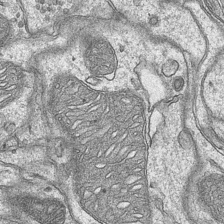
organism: Mouse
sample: CA1 Hippocampus